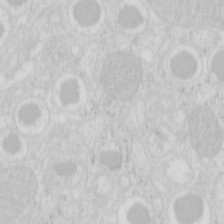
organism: Mouse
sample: Pancreas